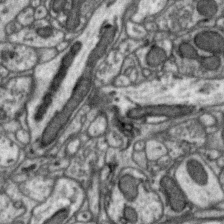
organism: Zebra finch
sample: Brain